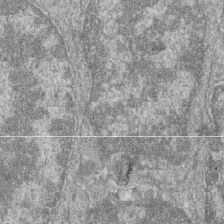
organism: Zebrafish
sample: Cilia; retinal pigment epithelium